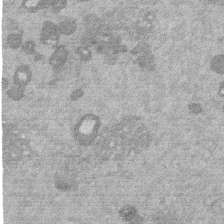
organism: Mouse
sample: Dividing mouse embryo 1 cell stage